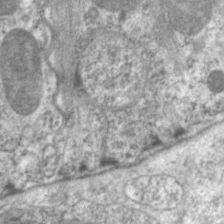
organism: C. elegans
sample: Pharynx